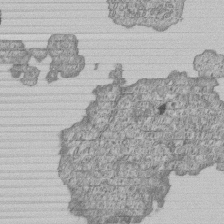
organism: Human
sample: MDA-MB-231 cells